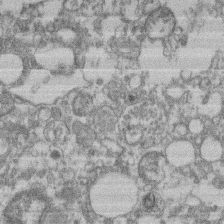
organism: Mouse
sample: T cell stromal cell synapse